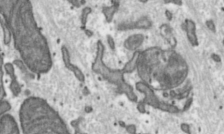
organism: Toxoplasma gondii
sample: Parasites in a vacuole inside a host cell